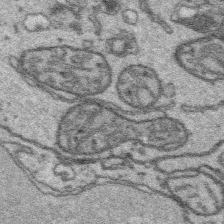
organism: Platynereis dumerilii